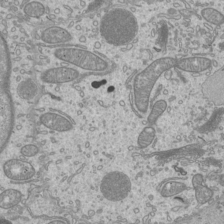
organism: Mouse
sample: Cilia; mouse epididymis